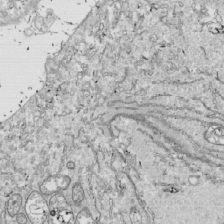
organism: Drosophila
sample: Cell division; meiosis; drosophila spermatocytes